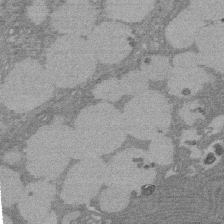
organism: Rat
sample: Salivary granule